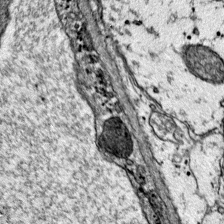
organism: Mouse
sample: Primary visual cortex